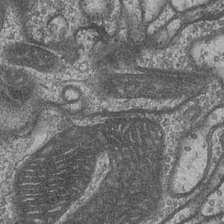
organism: Drosophila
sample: Optic medulla